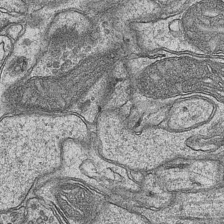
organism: Mouse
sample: CA1 Hippocampus